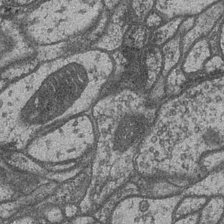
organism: Drosophila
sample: Optic medulla